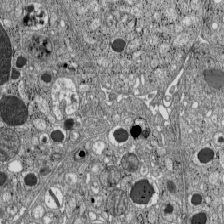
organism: C57BL Mouse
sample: Pancreatic islet